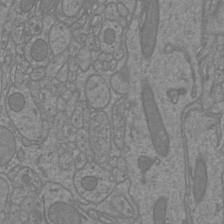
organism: Mouse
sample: Cortical neurons